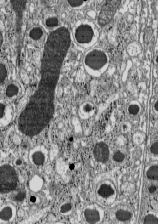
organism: C57BL Mouse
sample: Pancreatic islet